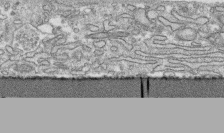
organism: Human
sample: CRL-1474